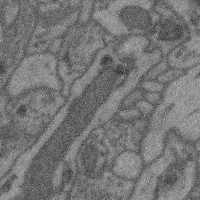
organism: Mouse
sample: Cerebral cortex